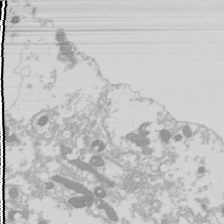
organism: Drosophila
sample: Cell division; meiosis; drosophila spermatocytes